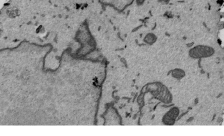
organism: Mouse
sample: ED-1 cell nuclei; centrioles